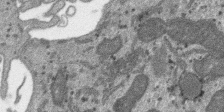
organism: Human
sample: Lung epithelial cells infected with SARS-CoV-2